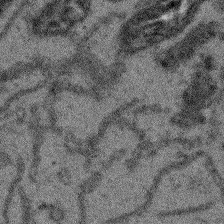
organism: Arabidopsis thaliana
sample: Root tip